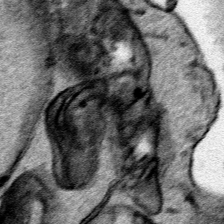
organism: Human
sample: Mitochondria in HCT116 cells